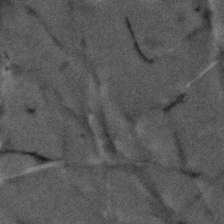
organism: Human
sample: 1205lu cells